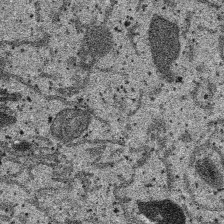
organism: Human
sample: Lung epithelial cells infected with SARS-CoV-2